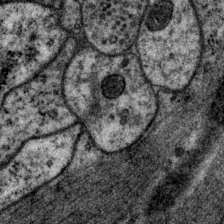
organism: P. pacificus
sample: Pharynx